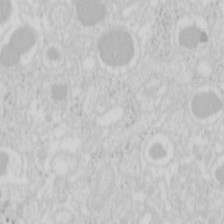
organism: Mouse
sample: Pancreas